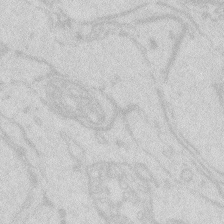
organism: Zebrafish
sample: Macrophage